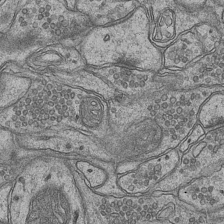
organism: Mouse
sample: CA1 Hippocampus